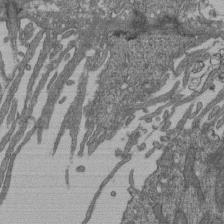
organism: Human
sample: Retinal organoid Rod and Cone cells